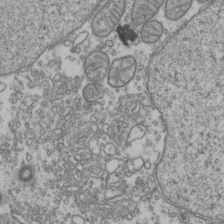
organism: Human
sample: Activated Jurkat CD4+ T cells